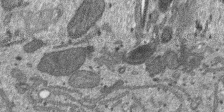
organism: Human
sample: Lung epithelial cells infected with SARS-CoV-2